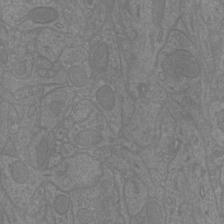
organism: Mouse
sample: Cortical neurons